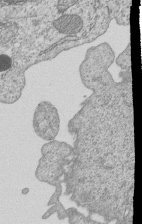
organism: Human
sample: MDA-MB-231 cells